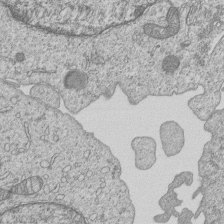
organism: Human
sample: MDA-MB-231 cells